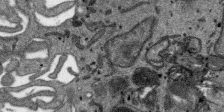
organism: Human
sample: Lung epithelial cells, uninfected (mock) control